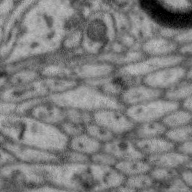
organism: Zebra finch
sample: Brain